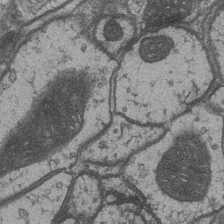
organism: Drosophila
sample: Optic medulla